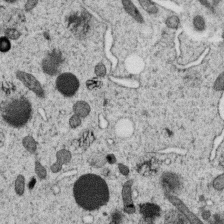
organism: C. elegans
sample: C. elegans oocyte; sperm cells